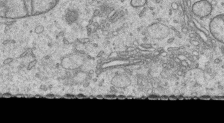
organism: Human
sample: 1205lu cells